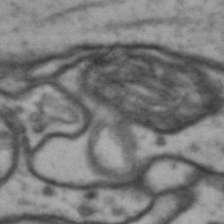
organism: Drosophila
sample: Brain